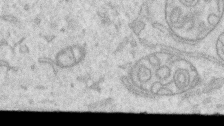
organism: Human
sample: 1205lu cells